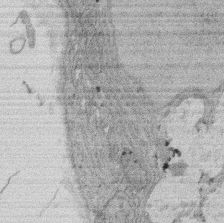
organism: Rat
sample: Salivary granule